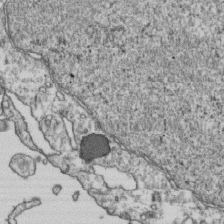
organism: Human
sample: Activated Jurkat CD4+ T cells